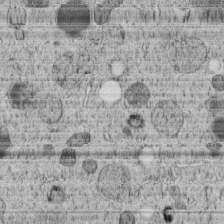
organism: C. elegans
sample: C. elegans embryo early stage